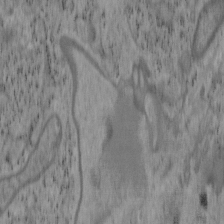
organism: Human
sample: HeLa cells